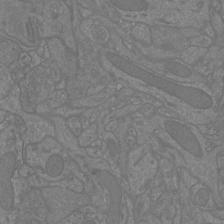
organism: Mouse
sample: Cortical neurons